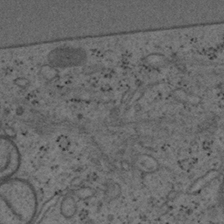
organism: Human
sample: HeLa cells